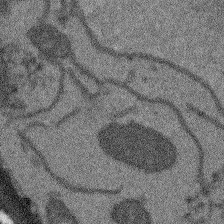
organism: Arabidopsis thaliana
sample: Root tip